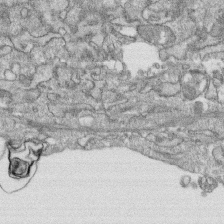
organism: Human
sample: CRL-1474